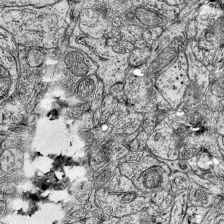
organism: Mouse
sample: Visual Cortex